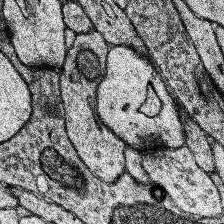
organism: Human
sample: Temporal Lobe